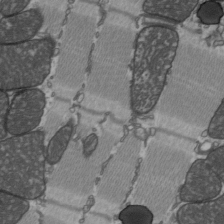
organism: C57BL Mouse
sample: Heart